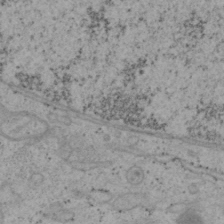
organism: Human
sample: HeLa cells